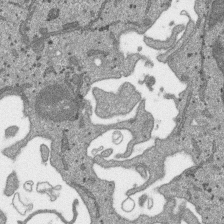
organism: Human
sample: Lung epithelial cells infected with SARS-CoV-2